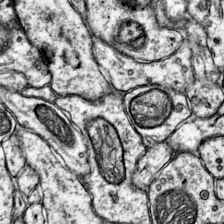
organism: Mouse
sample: Primary visual cortex